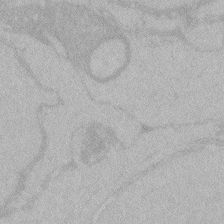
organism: Zebrafish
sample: Macrophage infected with Toxoplasma gondii